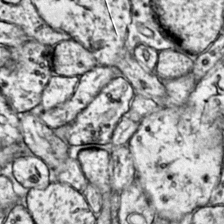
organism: Mouse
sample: Primary visual cortex